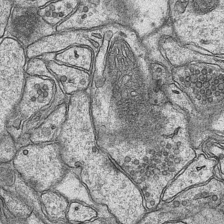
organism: Mouse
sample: CA1 Hippocampus